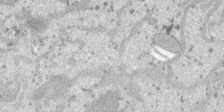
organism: Human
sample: Lung epithelial cells infected with SARS-CoV-2